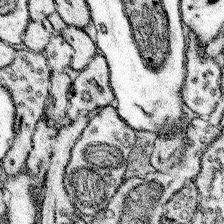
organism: Mouse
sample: Somatosensory cortex neuropil